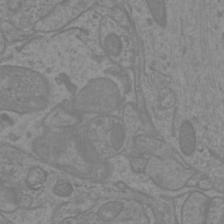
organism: Mouse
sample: Cortical neurons